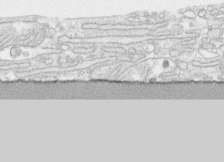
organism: Human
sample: CRL-1474